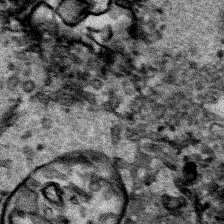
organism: Human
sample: Mitochondria in HCT116 cells